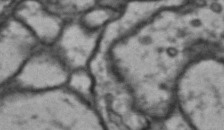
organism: Drosophila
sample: Brain